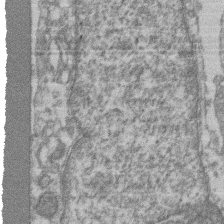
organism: Mouse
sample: T cell stromal cell synapse